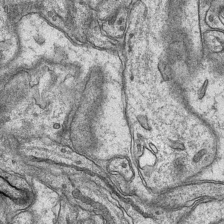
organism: Mouse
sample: CA1 Hippocampus